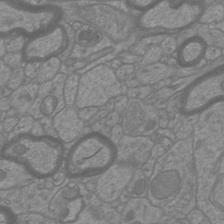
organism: Mouse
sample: Cortical neurons